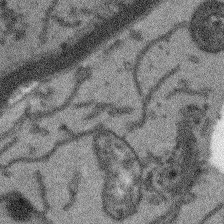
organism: Arabidopsis thaliana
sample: Root tip